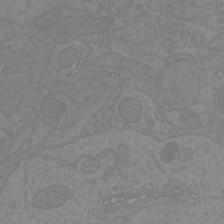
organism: Mouse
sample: Cortical neurons